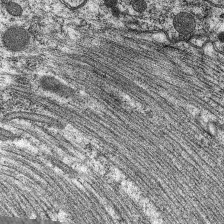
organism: C. elegans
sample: Pharynx